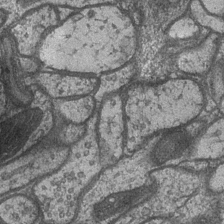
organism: Drosophila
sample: Optic medulla